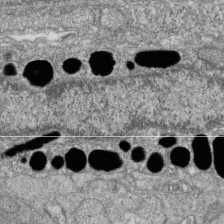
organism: Zebrafish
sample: Cilia; retinal pigment epithelium